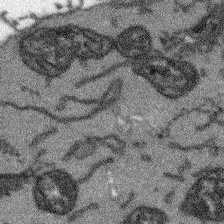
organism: Arabidopsis thaliana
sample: Root tip